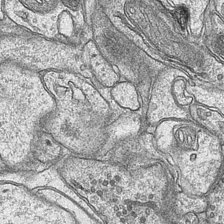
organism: Mouse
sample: CA1 Hippocampus